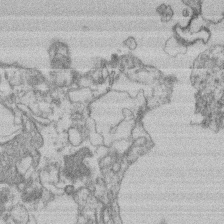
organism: Mouse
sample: T cell stromal cell synapse